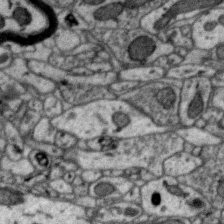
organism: Zebra finch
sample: Brain